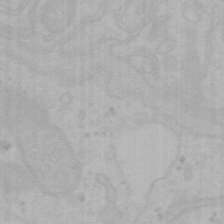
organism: Mouse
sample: Choroid plexus